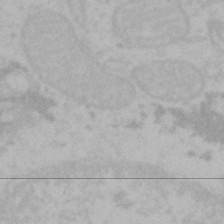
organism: Mouse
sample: Choroid plexus